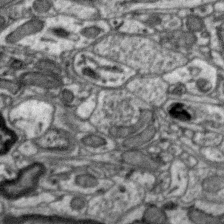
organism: Zebra finch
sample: Brain